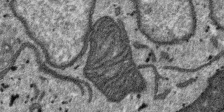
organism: Human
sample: Lung epithelial cells, uninfected (mock) control